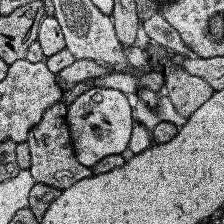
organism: Human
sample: Temporal Lobe